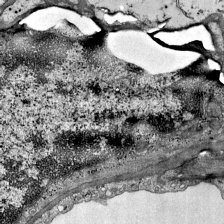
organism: Mouse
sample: Visual Cortex